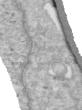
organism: Human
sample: Centriole in RPE cells